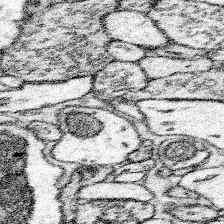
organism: Mouse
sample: Somatosensory cortex neuropil